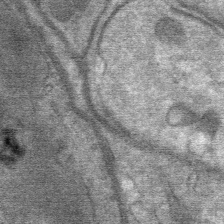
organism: Mouse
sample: Mouse Salivary gland